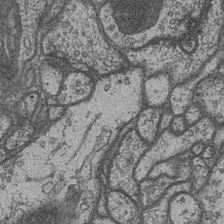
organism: Drosophila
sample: Optic medulla